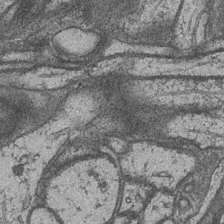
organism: Drosophila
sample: Optic medulla